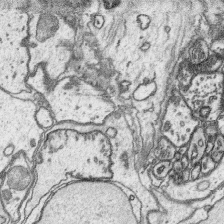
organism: Platynereis dumerilii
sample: Parapodia